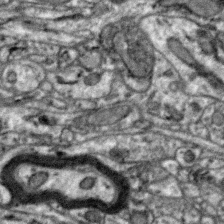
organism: Zebra finch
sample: Brain